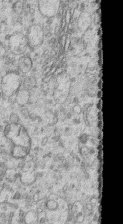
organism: Human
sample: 1205lu cells